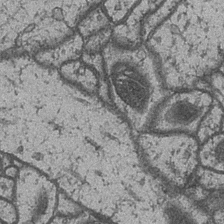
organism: Drosophila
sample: Optic medulla